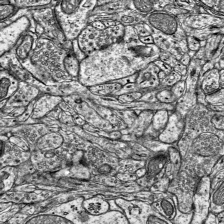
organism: Mouse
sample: Visual Cortex